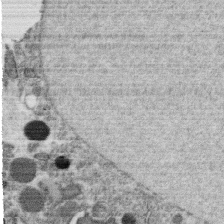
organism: C. elegans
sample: C. elegans oocyte; sperm cells